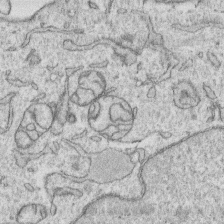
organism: Human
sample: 1205lu cells